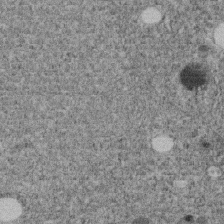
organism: C. elegans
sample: C. elegans embryo early stage